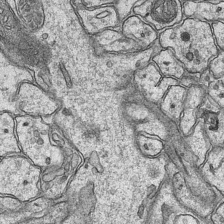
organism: Mouse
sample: CA1 Hippocampus